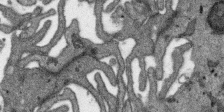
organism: Human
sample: Lung epithelial cells, uninfected (mock) control